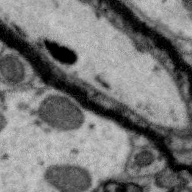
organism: Zebra finch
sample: Brain